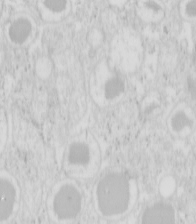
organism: Mouse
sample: Pancreas